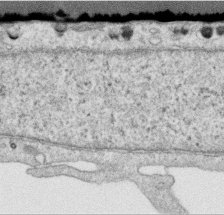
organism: Human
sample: Centriole in RPE cells